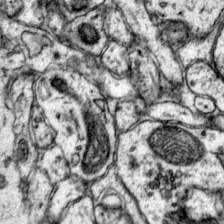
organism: Mouse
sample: Primary visual cortex